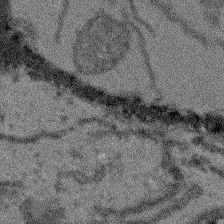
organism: Arabidopsis thaliana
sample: Root tip